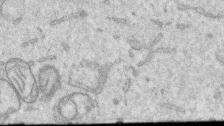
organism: Human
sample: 1205lu cells